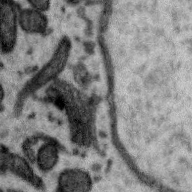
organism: Zebra finch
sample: Brain